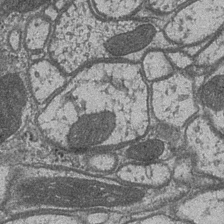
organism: Drosophila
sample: Optic medulla